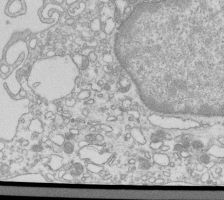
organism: Mouse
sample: Macrophages